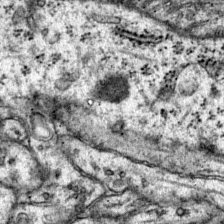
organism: Mouse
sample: Primary visual cortex